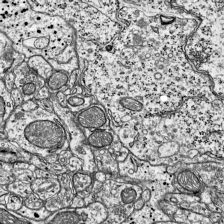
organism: Mouse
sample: Visual Cortex